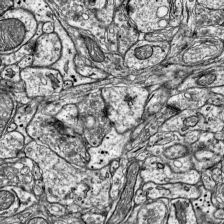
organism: Mouse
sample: Visual Cortex